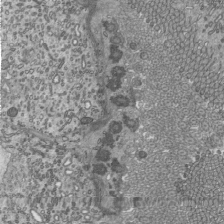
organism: Mouse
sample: Mouse epididymis efferent ductule cilia